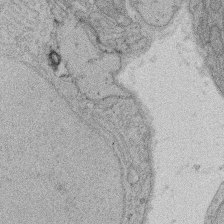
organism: Rat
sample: Salivary granule